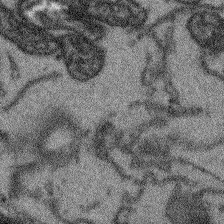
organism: Arabidopsis thaliana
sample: Root tip